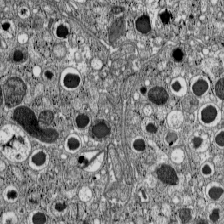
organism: C57BL Mouse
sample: Pancreatic islet